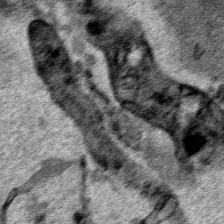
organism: Human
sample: Mitochondria in HCT116 cells